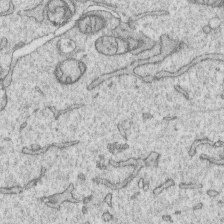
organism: Human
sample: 1205lu cells